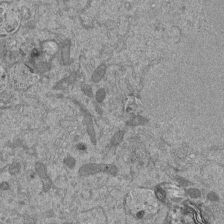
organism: Mouse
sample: ED-1 cell nuclei; centrioles